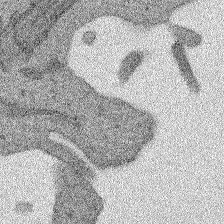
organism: Human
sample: HeLa cells